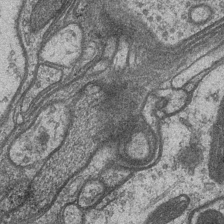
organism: Drosophila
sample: Optic medulla